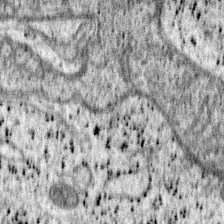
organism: Human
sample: HeLa cells